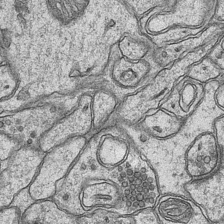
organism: Mouse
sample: CA1 Hippocampus